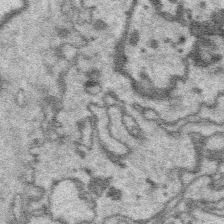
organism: Platynereis dumerilii